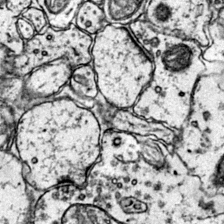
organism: Mouse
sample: Primary visual cortex